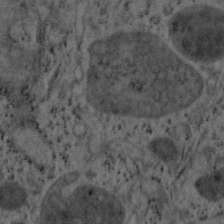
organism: Human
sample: HeLa cells